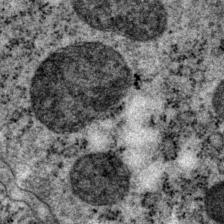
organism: P. pacificus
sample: Pharynx